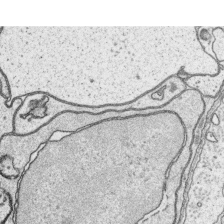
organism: Platynereis dumerilii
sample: Parapodia